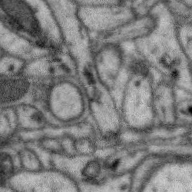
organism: Zebra finch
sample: Brain